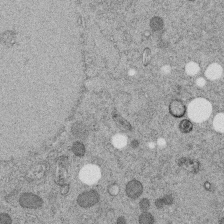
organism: C. elegans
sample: C. elegans embryo early stage